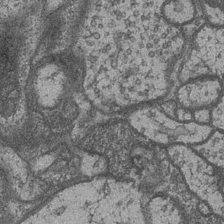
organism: Drosophila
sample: Optic medulla